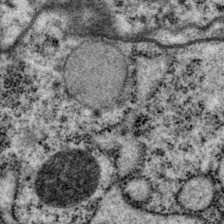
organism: P. pacificus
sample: Pharynx